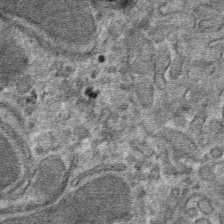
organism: Mouse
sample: Mouse hepatocytes